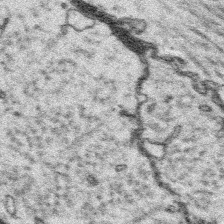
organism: Platynereis dumerilii